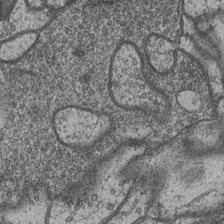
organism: Drosophila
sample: Optic medulla